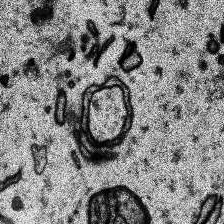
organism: Human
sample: Temporal Lobe